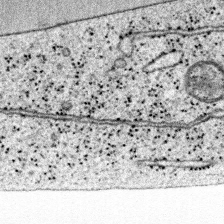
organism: Human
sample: HeLa cells